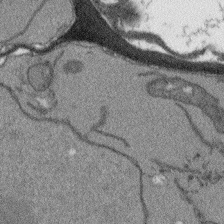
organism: Arabidopsis thaliana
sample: Root tip